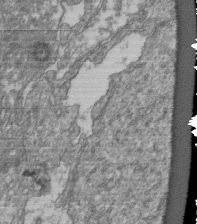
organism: Human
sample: Retinal organoid Rod and Cone cells